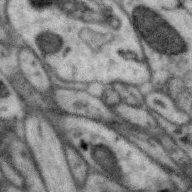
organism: Zebra finch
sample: Brain